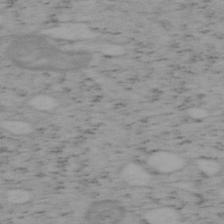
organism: Mouse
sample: OT-I killer T cells with ID8 ovarian cancer cells